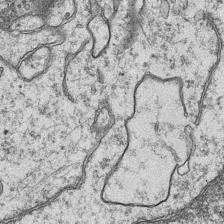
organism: Mouse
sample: CA1 Hippocampus